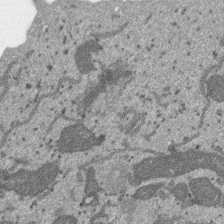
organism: Human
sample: Lung epithelial cells infected with SARS-CoV-2